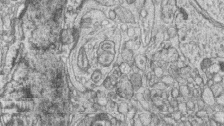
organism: Zebrafish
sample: synaptic ribbons in rod cells and cone cells